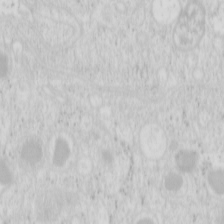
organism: Mouse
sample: Pancreas